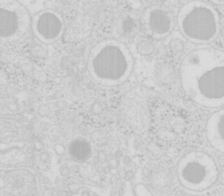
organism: Mouse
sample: Pancreas